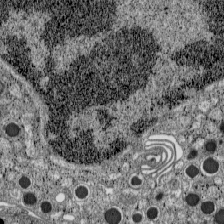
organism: C57BL Mouse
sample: Pancreatic islet